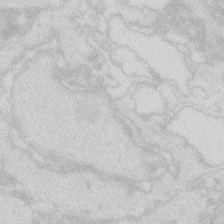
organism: Zebrafish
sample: Macrophage